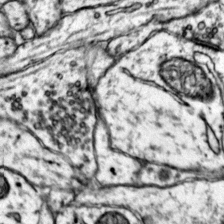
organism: Mouse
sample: Primary visual cortex